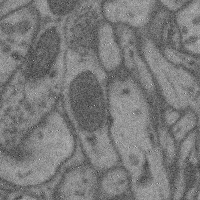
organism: Mouse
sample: Cerebral cortex